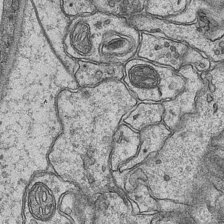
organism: Mouse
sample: CA1 Hippocampus